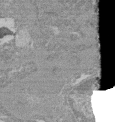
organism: Mouse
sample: Glomerulus